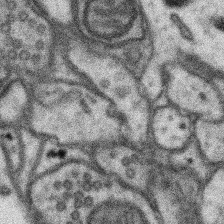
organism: Mouse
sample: Somatosensory cortex neuropil